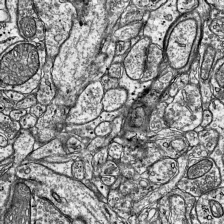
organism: Mouse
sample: Visual Cortex